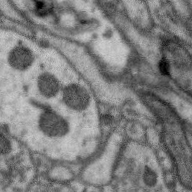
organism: Zebra finch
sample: Brain